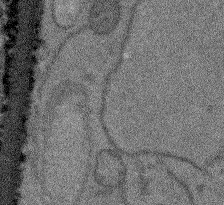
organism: Arabidopsis thaliana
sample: Root tip